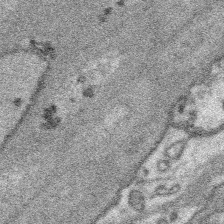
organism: Platynereis dumerilii